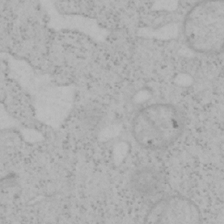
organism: Mouse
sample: OT-I killer T cells with ID8 ovarian cancer cells